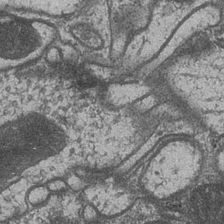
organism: Drosophila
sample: Optic medulla